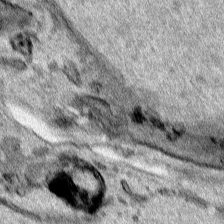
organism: Human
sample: Mitochondria in HCT116 cells